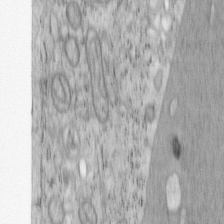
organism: Human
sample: HeLa cells